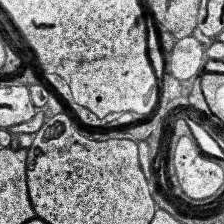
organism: Human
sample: Temporal Lobe